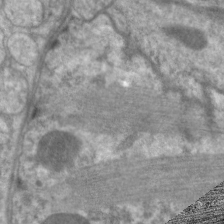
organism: C. elegans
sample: Pharynx